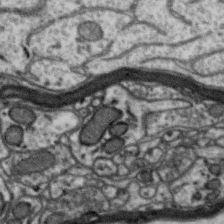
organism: Zebra finch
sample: Brain